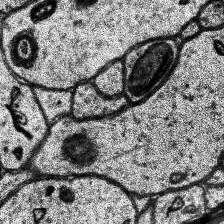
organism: Human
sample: Temporal Lobe